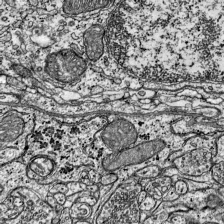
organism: Mouse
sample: Visual Cortex